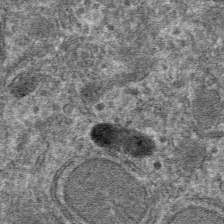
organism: Mouse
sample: Mouse hepatocytes